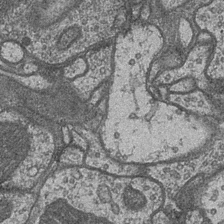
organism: Drosophila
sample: Optic medulla